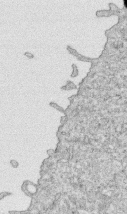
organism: Human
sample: HeLa cell HIV synapse